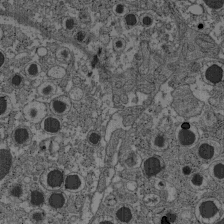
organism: C57BL Mouse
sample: Pancreatic islet